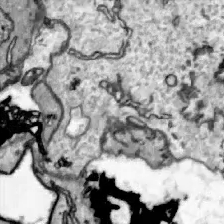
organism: Zebrafish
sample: Actinotrichia fibers